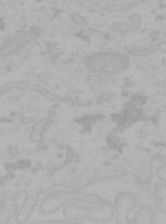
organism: Mouse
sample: Choroid plexus